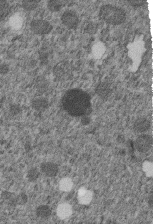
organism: C. elegans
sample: C. elegans embryo early stage